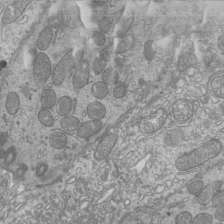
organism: Mouse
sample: Cilia; mouse epididymis